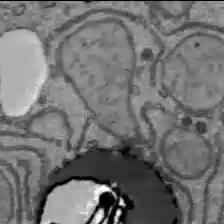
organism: C57BL Mouse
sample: Liver